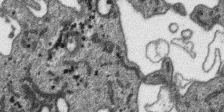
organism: Human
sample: Lung epithelial cells infected with SARS-CoV-2